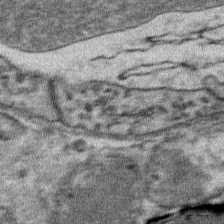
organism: Mouse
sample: Mouse Salivary gland